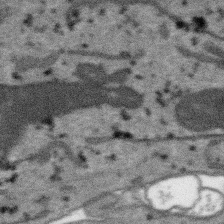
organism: Human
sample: Lung epithelial cells infected with SARS-CoV-2